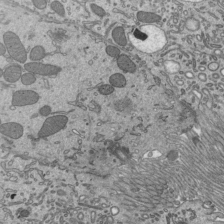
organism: Mouse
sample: Mouse epididymis efferent ductule cilia